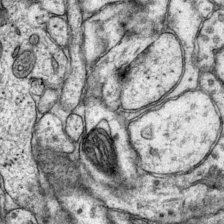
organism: Mouse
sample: Primary visual cortex